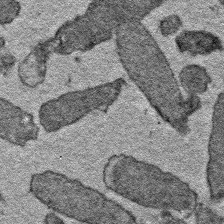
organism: E. coli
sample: E. Coli Bacteria